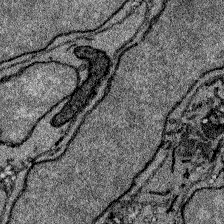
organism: Zebrafish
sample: Larval olfactory bulb